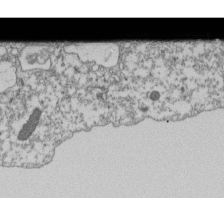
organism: Dictyostelium discoideum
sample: Dictyostelium multivesicular bodies